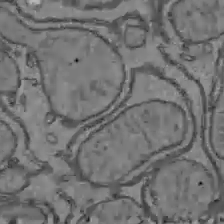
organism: C57BL Mouse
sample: Liver